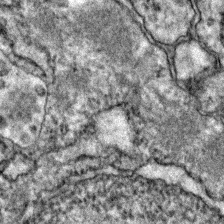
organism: Zebrafish